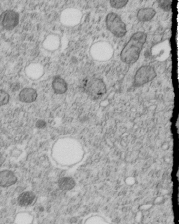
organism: C. elegans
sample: C. elegans embryo early stage